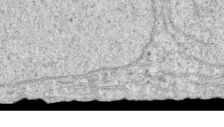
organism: Human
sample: HeLa cell HIV synapse